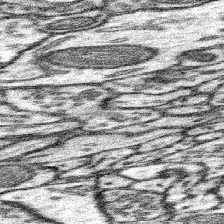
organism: Mouse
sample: Somatosensory cortex neuropil